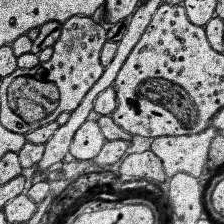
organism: Human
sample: Temporal Lobe